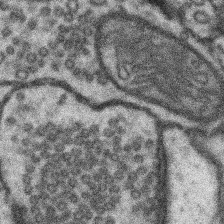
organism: Mouse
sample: Somatosensory cortex neuropil